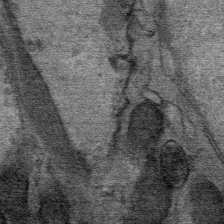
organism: Mouse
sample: Mouse Salivary gland